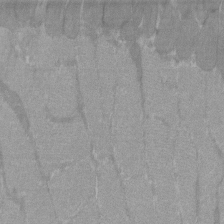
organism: C57BL Mouse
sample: Tibialis anterior muscle cell